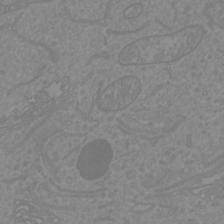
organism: Mouse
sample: Cortical neurons